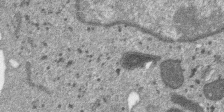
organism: Human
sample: Lung epithelial cells infected with SARS-CoV-2